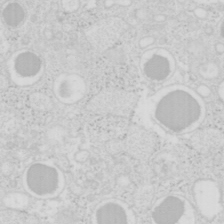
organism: Mouse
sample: Pancreas